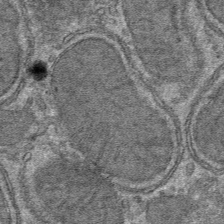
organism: Mouse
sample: Mouse hepatocytes